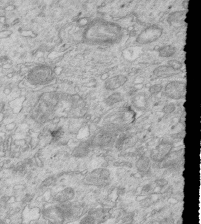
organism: Mouse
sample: Multiciliated cells